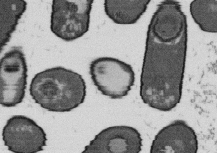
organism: B. subtilis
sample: Bacterial spore